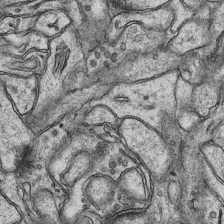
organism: Mouse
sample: CA1 Hippocampus